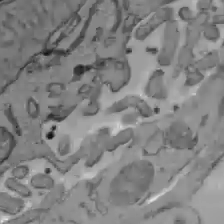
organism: C57BL Mouse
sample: Liver